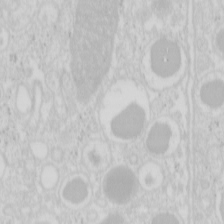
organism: Mouse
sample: Pancreas